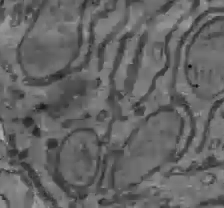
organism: C57BL Mouse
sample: Liver